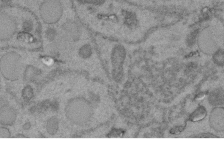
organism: C. elegans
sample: C. elegans embryo early stage